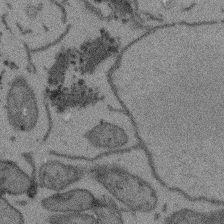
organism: Arabidopsis thaliana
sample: Root tip